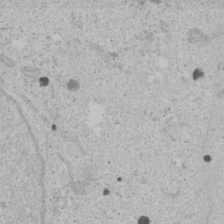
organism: Human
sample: Mitochondria in U2OS cells